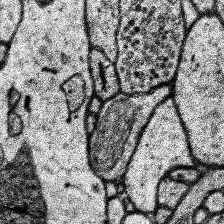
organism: Human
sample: Temporal Lobe